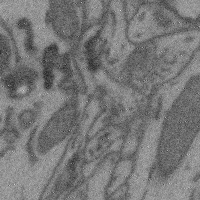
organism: Mouse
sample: Cerebral cortex